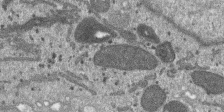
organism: Human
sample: Lung epithelial cells infected with SARS-CoV-2